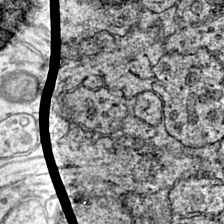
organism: Mouse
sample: Primary visual cortex